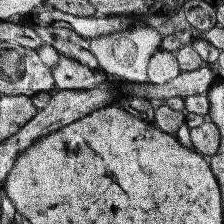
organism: Human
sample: Temporal Lobe